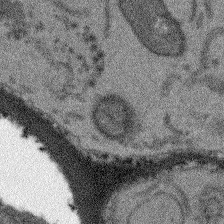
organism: Arabidopsis thaliana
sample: Root tip